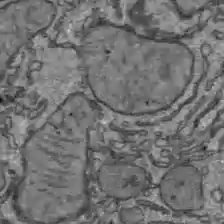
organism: C57BL Mouse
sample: Liver